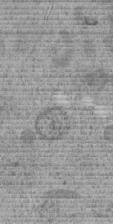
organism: C. elegans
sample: C. elegans embryo early stage